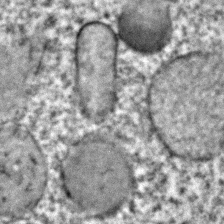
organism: C. elegans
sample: C. elegans embryo